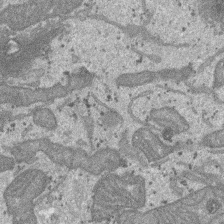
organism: Human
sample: Lung epithelial cells infected with SARS-CoV-2